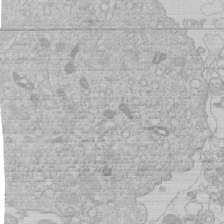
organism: Human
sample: Macrophage cells